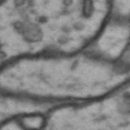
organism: Drosophila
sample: Brain